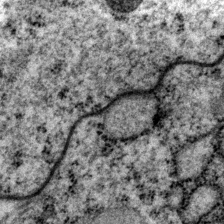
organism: P. pacificus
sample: Pharynx